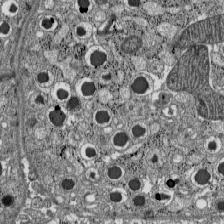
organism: C57BL Mouse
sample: Pancreatic islet